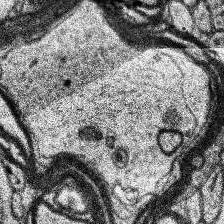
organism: Human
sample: Temporal Lobe